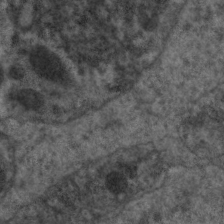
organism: C. elegans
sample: Pharynx